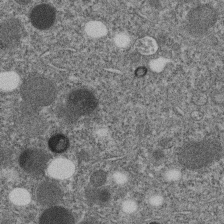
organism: C. elegans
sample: C. elegans embryo early stage